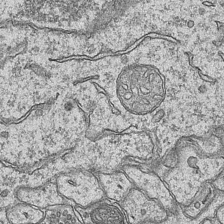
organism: Mouse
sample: CA1 Hippocampus